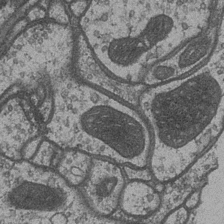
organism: Drosophila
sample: Optic medulla